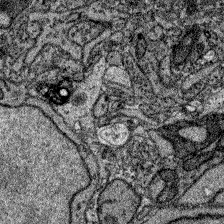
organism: Zebrafish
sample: Larval olfactory bulb